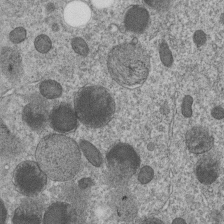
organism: C. elegans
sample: C. elegans embryo early stage